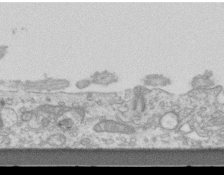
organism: Mouse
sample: Centriole in ependymal cells